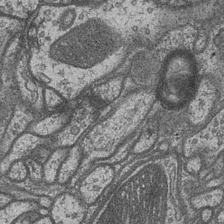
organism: Drosophila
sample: Optic medulla